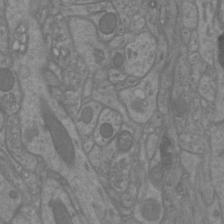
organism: Mouse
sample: Cortical neurons